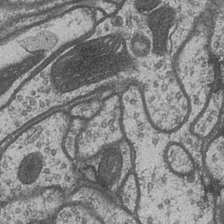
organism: Drosophila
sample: Optic medulla